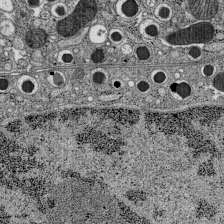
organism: C57BL Mouse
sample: Pancreatic islet